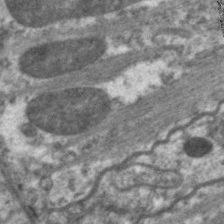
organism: C. elegans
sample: Pharynx